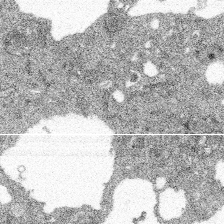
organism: Spongilla lacustris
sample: Multiple